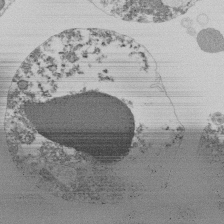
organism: Mouse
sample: Activated Pmel transgenic CD8+ T Cells